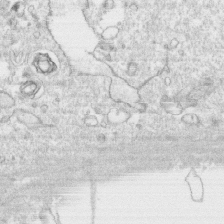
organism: Human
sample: CRL-1474